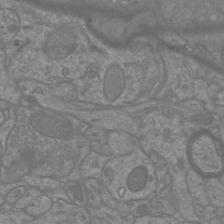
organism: Mouse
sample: Cortical neurons